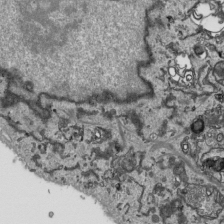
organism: Human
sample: Mitochondria in HCT116 cells